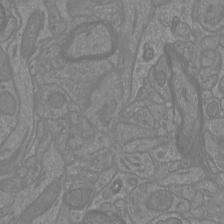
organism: Mouse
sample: Cortical neurons